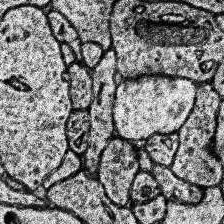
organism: Human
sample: Temporal Lobe